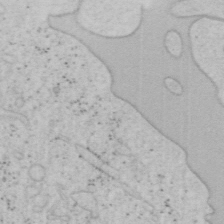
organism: Human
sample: HeLa cells